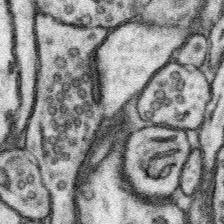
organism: Mouse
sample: Somatosensory cortex neuropil